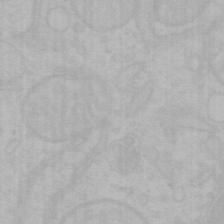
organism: Mouse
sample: Choroid plexus